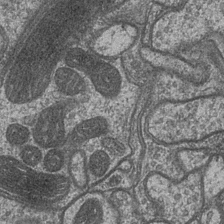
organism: Drosophila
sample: Optic medulla